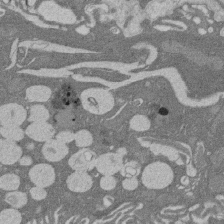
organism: Rat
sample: Salivary granule